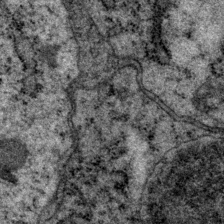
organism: P. pacificus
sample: Pharynx